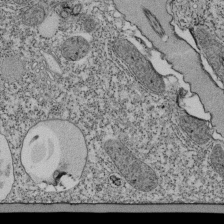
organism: Tetrahymena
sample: Cilia in tetrahymena